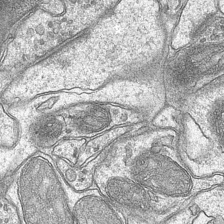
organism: Mouse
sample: CA1 Hippocampus